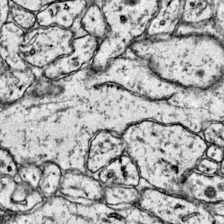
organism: Mouse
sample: Primary visual cortex